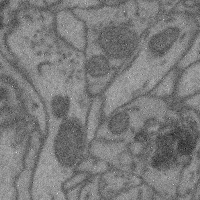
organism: Mouse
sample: Cerebral cortex